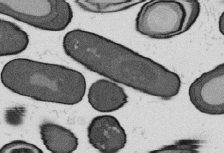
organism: B. subtilis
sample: Bacterial spore